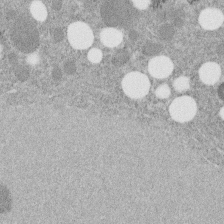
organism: C. elegans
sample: C. elegans embryo early stage